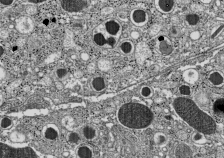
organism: C57BL Mouse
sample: Pancreatic islet